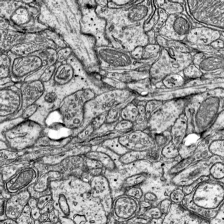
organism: Mouse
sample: Visual Cortex